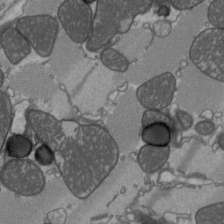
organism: C57BL Mouse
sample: Heart